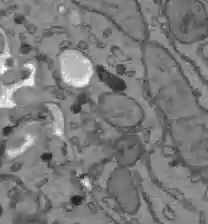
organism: C57BL Mouse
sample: Liver